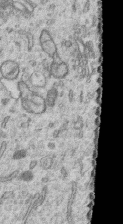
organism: Human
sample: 1205lu cells